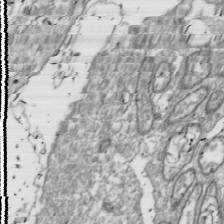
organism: Drosophila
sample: Cell division; meiosis; drosophila spermatocytes